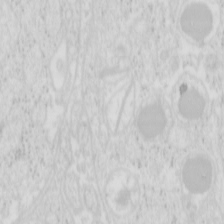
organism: Mouse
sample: Pancreas